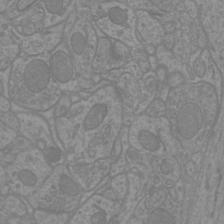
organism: Mouse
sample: Cortical neurons